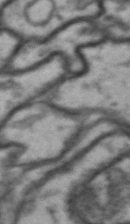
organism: Drosophila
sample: Brain